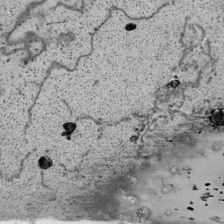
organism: Human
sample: Mitochondria in HCT116 cells